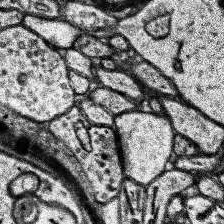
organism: Human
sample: Temporal Lobe